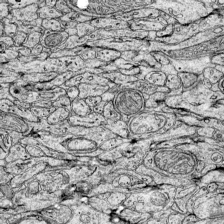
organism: Mouse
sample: Visual Cortex